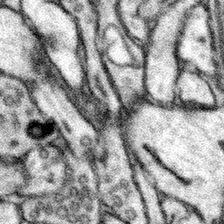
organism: Mouse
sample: Somatosensory cortex neuropil